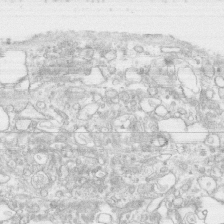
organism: Human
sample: CRL-1474